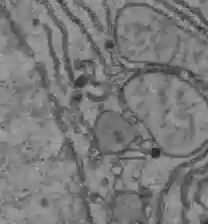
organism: C57BL Mouse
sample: Liver